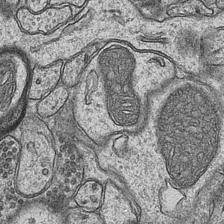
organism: Mouse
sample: CA1 Hippocampus